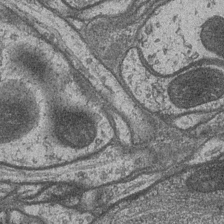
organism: Drosophila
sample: Optic medulla